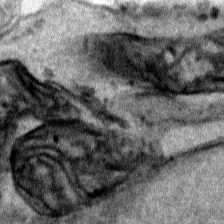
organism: Human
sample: Mitochondria in HCT116 cells